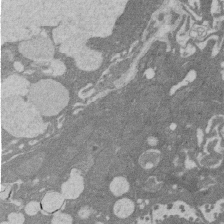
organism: Rat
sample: Salivary granule